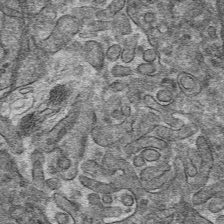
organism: Mouse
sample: Mouse hepatocytes